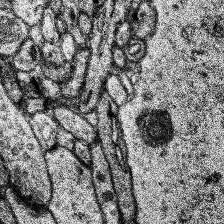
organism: Human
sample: Temporal Lobe